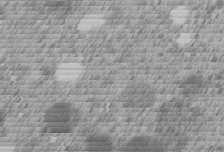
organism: C. elegans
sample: C. elegans embryo early stage